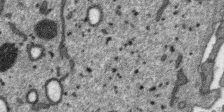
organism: Human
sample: Lung epithelial cells infected with SARS-CoV-2